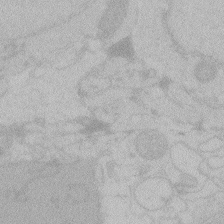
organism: Zebrafish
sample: Macrophage infected with Toxoplasma gondii